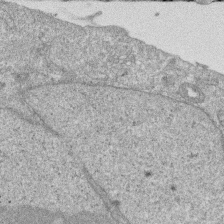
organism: Human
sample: HeLa cell HIV synapse